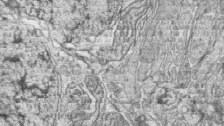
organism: Zebrafish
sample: synaptic ribbons in rod cells and cone cells